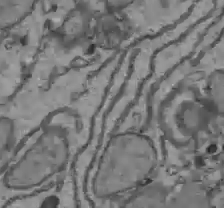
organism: C57BL Mouse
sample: Liver